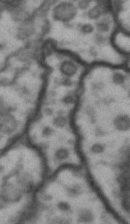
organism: Drosophila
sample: Brain